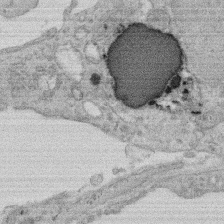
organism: Rat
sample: Salivary granule